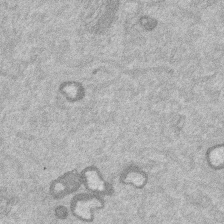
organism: Mouse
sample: Dividing mouse embryo 1 cell stage